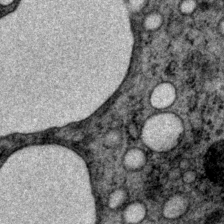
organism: P. pacificus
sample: Pharynx